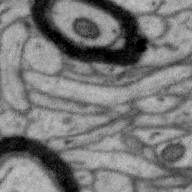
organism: Zebra finch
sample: Brain